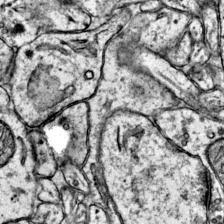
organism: Mouse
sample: Primary visual cortex